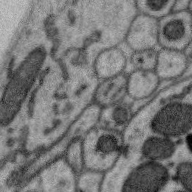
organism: Zebra finch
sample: Brain